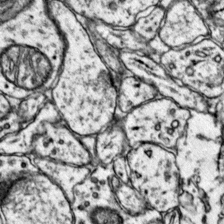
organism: Mouse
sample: Primary visual cortex